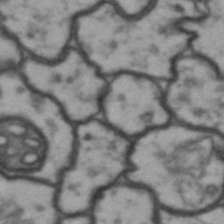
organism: Drosophila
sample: Brain